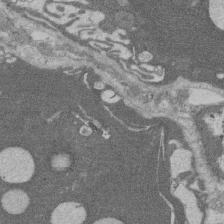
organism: Rat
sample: Salivary granule